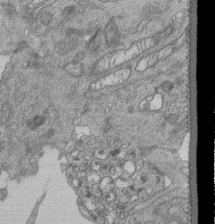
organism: Human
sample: Retinal organoid Rod and Cone cells